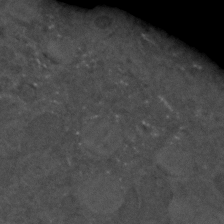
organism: C. elegans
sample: C. elegans embryo